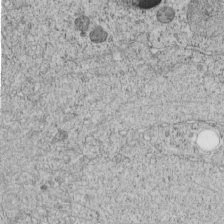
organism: C. elegans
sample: C. elegans embryo early stage